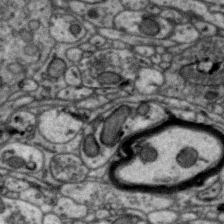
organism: Zebra finch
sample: Brain